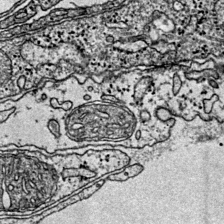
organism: Mouse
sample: Primary visual cortex